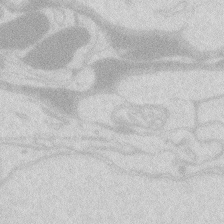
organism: Zebrafish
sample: Macrophage